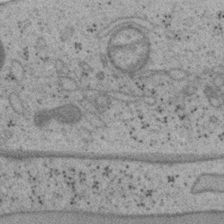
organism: Human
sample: HeLa cells